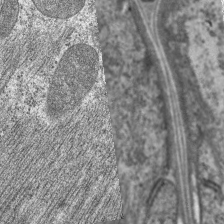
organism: C. elegans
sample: Pharynx